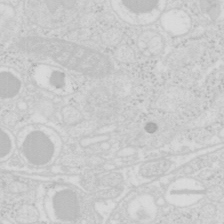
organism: Mouse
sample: Pancreas